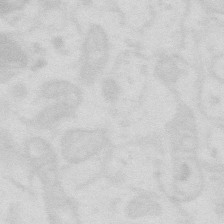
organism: Human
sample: HeLa cells